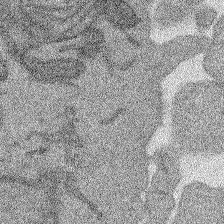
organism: Human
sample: HeLa cells